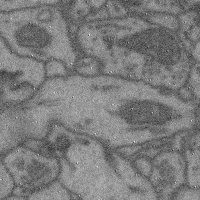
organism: Mouse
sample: Cerebral cortex